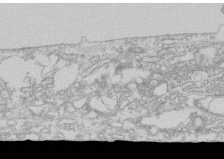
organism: Human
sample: CRL-1474